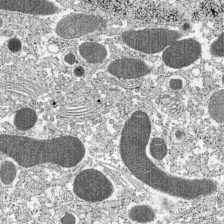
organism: C57BL Mouse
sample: Pancreatic islet